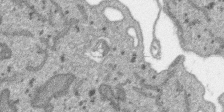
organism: Human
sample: Lung epithelial cells infected with SARS-CoV-2